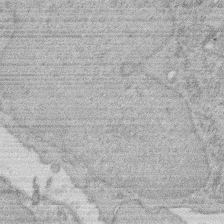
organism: Rat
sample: Salivary granule